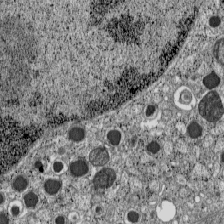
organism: C57BL Mouse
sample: Pancreatic islet